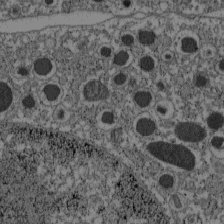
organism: C57BL Mouse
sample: Pancreatic islet